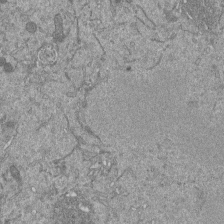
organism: Mouse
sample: ED-1 cell nuclei; centrioles